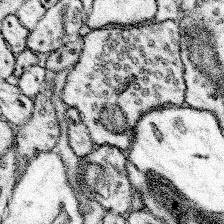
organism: Mouse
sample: Somatosensory cortex neuropil